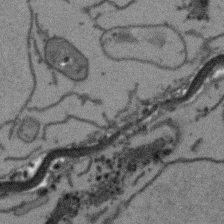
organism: Arabidopsis thaliana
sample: Root tip